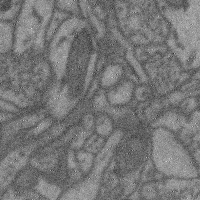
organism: Mouse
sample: Cerebral cortex